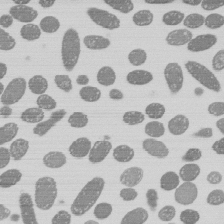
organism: E. coli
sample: Bacterial nucleoid